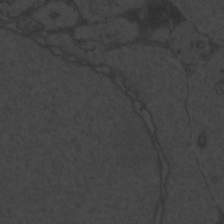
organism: Zebrafish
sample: Macrophage infected with Toxoplasma gondii